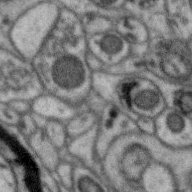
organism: Zebra finch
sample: Brain